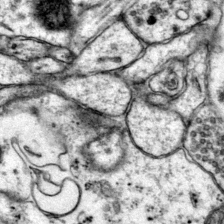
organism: Mouse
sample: Primary visual cortex